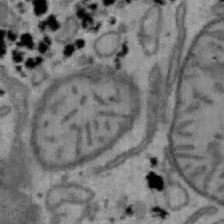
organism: Mouse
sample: Liver